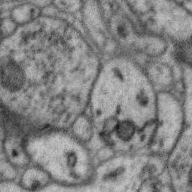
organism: Zebra finch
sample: Brain